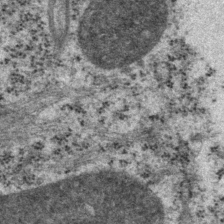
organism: P. pacificus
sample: Pharynx